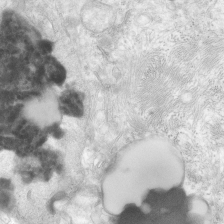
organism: Human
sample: Neocortex